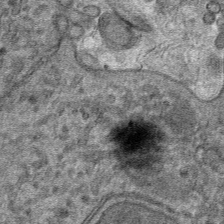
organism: Mouse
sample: Mouse hepatocytes